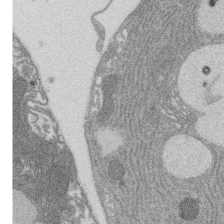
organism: Rat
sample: Salivary granule